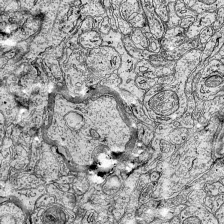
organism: Mouse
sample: Visual Cortex